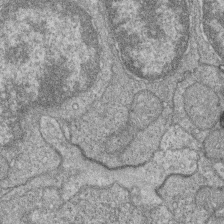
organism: Zebrafish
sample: Cilia; retinal pigment epithelium